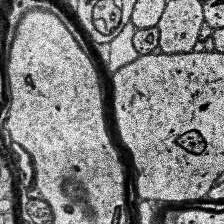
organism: Human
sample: Temporal Lobe